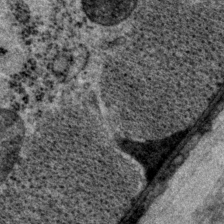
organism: P. pacificus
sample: Pharynx